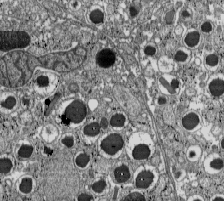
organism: C57BL Mouse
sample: Pancreatic islet